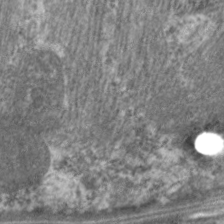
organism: C. elegans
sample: Pharynx